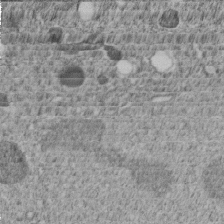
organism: C. elegans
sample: C. elegans embryo early stage